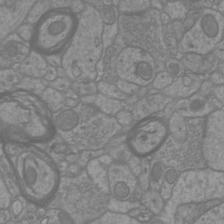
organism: Mouse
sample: Cortical neurons